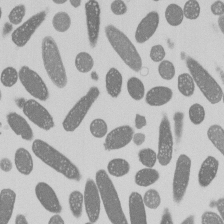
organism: E. coli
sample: Bacterial nucleoid